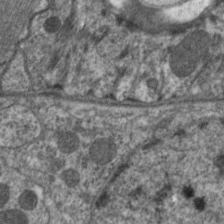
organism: C. elegans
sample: Pharynx